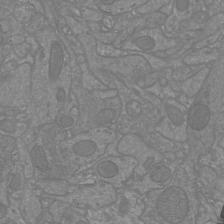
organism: Mouse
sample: Cortical neurons